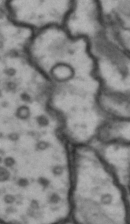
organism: Drosophila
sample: Brain